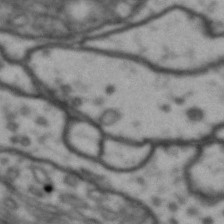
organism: Drosophila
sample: Brain